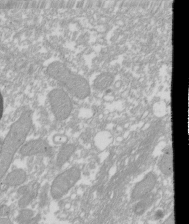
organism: Xenopus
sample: Cilia; centrioles in frog embryo cells